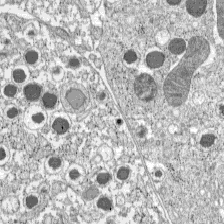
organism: C57BL Mouse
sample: Pancreatic islet